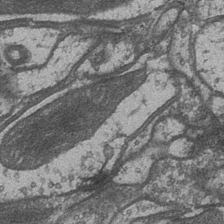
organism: Drosophila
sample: Optic medulla